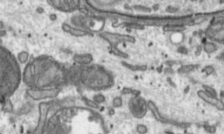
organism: Toxoplasma gondii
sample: Parasites in a vacuole inside a host cell